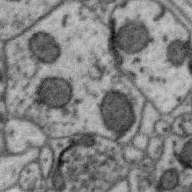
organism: Zebra finch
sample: Brain